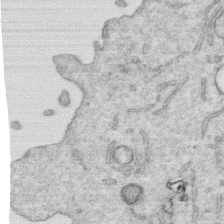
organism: Human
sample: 1205lu cells